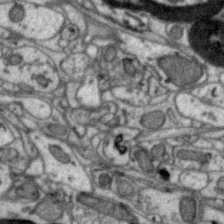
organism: Zebra finch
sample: Brain